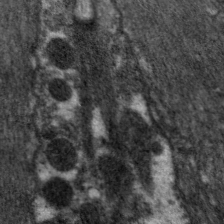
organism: C. elegans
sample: Pharynx